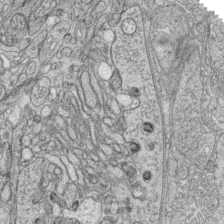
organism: Zebrafish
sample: synaptic ribbons in rod cells and cone cells